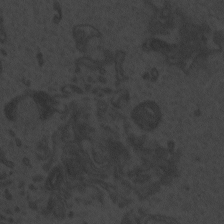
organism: Zebrafish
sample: Macrophage infected with Toxoplasma gondii